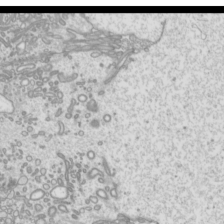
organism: Mouse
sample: Cilia; mouse epididymis